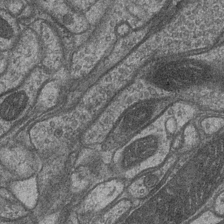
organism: Drosophila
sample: Optic medulla